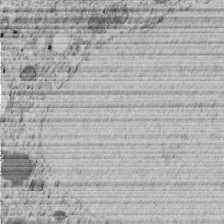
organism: C. elegans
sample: C. elegans embryo early stage